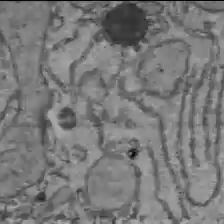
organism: C57BL Mouse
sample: Liver